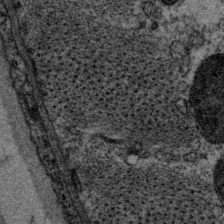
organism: P. pacificus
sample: Pharynx